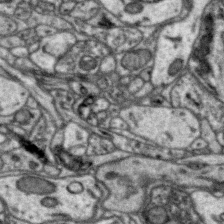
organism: Zebra finch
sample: Brain